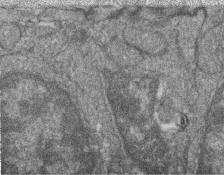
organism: Zebrafish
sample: Cilia; retinal pigment epithelium